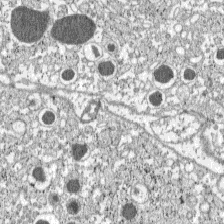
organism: C57BL Mouse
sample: Pancreatic islet